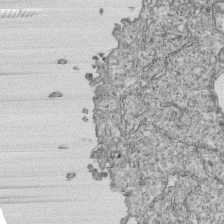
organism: Human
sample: HeLa cell HIV synapse